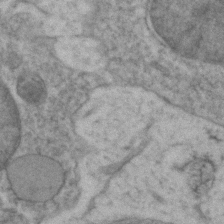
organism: Zebrafish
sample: Zebrafish embryo